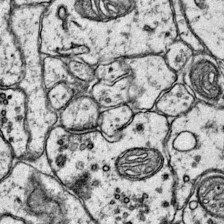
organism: Mouse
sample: Primary visual cortex